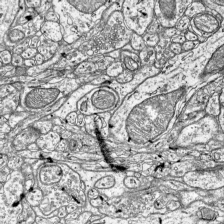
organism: Mouse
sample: Visual Cortex